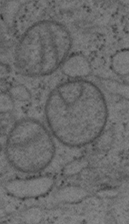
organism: Human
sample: HeLa cells